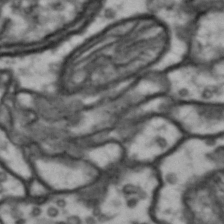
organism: Drosophila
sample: Brain